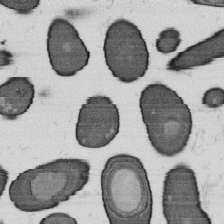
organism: B. subtilis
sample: Bacterial spore